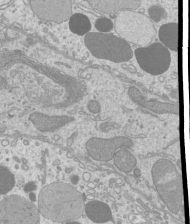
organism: Mouse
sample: Cilia; mouse epididymis